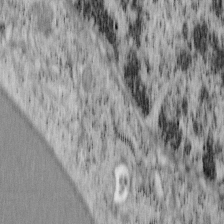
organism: Human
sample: HeLa cells